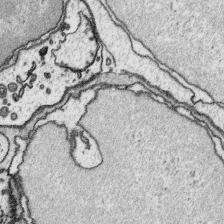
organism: Platynereis dumerilii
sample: Parapodia